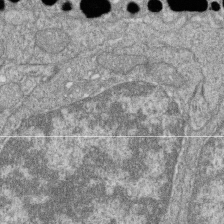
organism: Zebrafish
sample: Cilia; retinal pigment epithelium